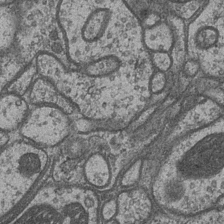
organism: Drosophila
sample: Optic medulla